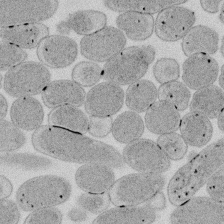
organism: E. coli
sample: Bacterial nucleoid